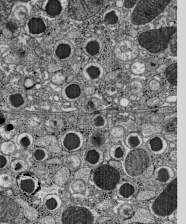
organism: C57BL Mouse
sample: Pancreatic islet